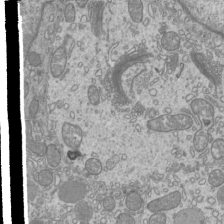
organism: Mouse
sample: Cilia; mouse epididymis